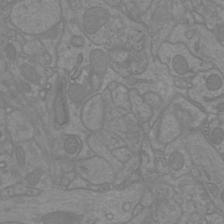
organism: Mouse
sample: Cortical neurons